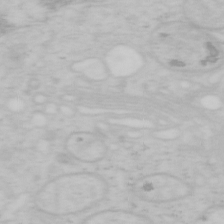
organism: Mouse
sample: OT-I killer T cells with ID8 ovarian cancer cells